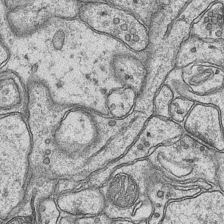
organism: Mouse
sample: CA1 Hippocampus